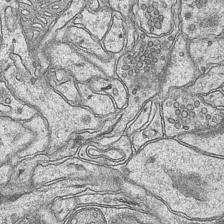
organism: Mouse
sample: CA1 Hippocampus